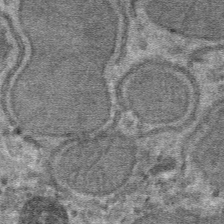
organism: Mouse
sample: Mouse hepatocytes